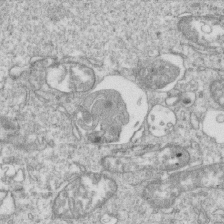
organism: Mouse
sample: Activated OT-1 CD8+ T cells